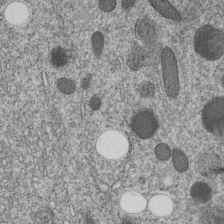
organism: C. elegans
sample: C. elegans embryo early stage